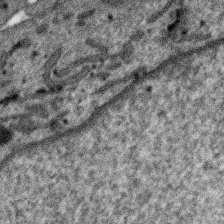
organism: Human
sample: Lung epithelial cells infected with SARS-CoV-2